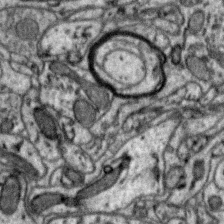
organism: Zebra finch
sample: Brain